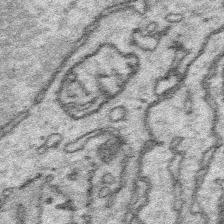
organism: Platynereis dumerilii